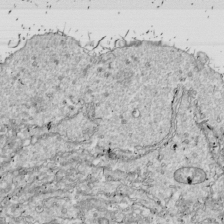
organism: Drosophila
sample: Cell division; meiosis; drosophila spermatocytes